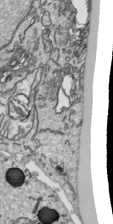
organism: Human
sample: Mitochondria in HCT116 cells